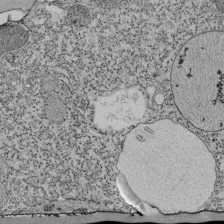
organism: Tetrahymena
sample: Cilia in tetrahymena